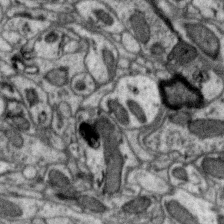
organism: Zebra finch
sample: Brain